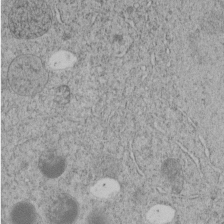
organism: C. elegans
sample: C. elegans embryo early stage